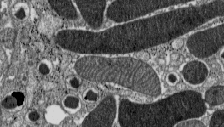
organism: C57BL Mouse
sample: Pancreatic islet